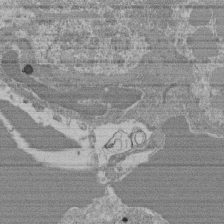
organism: Mouse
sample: Glomerulus